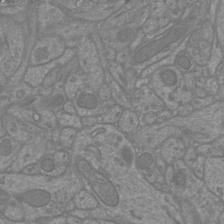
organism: Mouse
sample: Cortical neurons